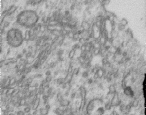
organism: Human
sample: Centriole in RPE cells